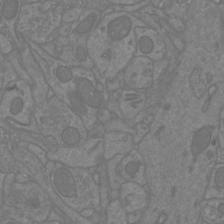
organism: Mouse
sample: Cortical neurons